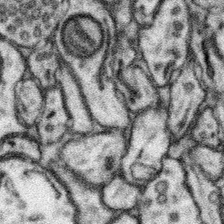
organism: Mouse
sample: Somatosensory cortex neuropil